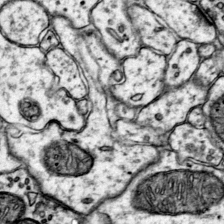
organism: Mouse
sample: Primary visual cortex